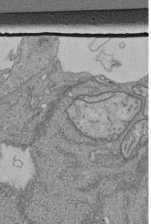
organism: Human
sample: Retinal organoid Rod and Cone cells